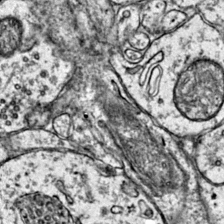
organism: Mouse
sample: Primary visual cortex